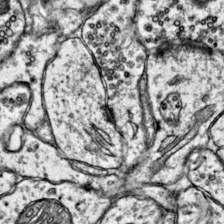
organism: Mouse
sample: Primary visual cortex